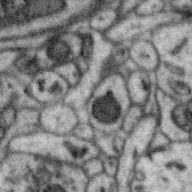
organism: Zebra finch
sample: Brain